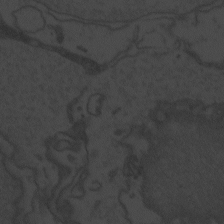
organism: Zebrafish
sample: Macrophage infected with Toxoplasma gondii